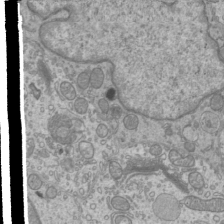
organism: Mouse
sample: Cilia; mouse epididymis